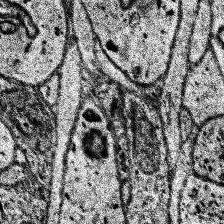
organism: Human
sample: Temporal Lobe